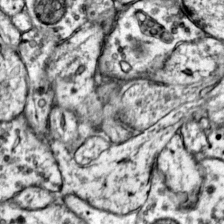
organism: Mouse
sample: Primary visual cortex